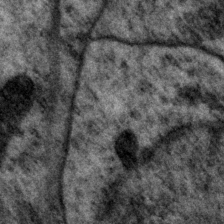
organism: P. pacificus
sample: Pharynx